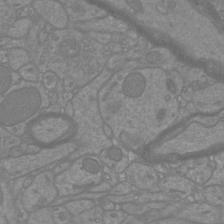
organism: Mouse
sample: Cortical neurons